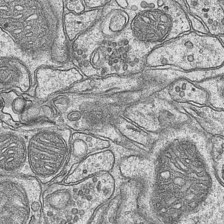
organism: Mouse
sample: CA1 Hippocampus